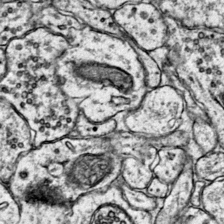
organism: Mouse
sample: Primary visual cortex